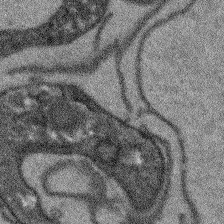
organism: Arabidopsis thaliana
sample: Root tip